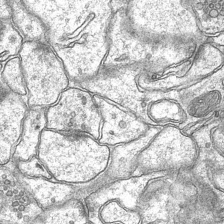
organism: Mouse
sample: CA1 Hippocampus